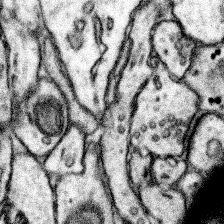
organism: Mouse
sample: Somatosensory cortex neuropil